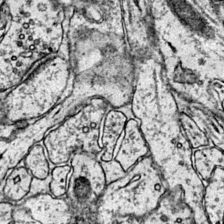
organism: Mouse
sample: Primary visual cortex